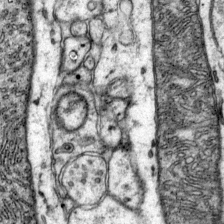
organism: Mouse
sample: Primary visual cortex